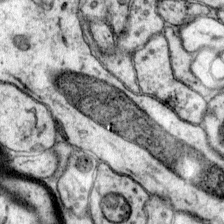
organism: Mouse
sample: Primary visual cortex